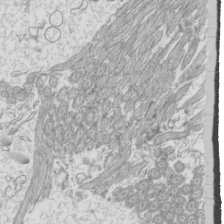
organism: Mouse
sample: Cilia; mouse epididymis